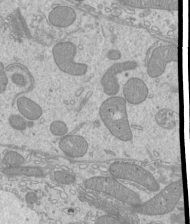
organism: Mouse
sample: Cilia; mouse epididymis